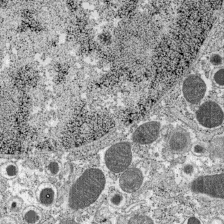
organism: C57BL Mouse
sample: Pancreatic islet